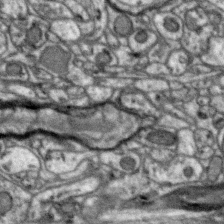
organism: Zebra finch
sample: Brain